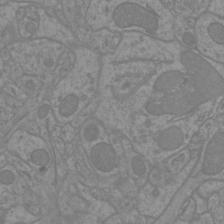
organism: Mouse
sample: Cortical neurons